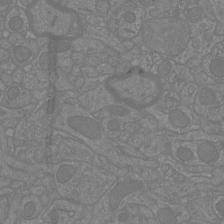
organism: Mouse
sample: Cortical neurons